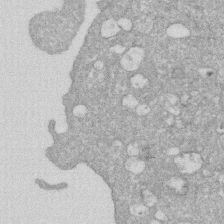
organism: Human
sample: HIV infected U937 cells